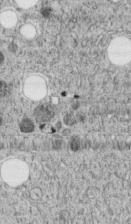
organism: C. elegans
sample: C. elegans embryo early stage